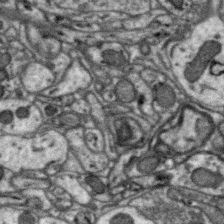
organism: Zebra finch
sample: Brain